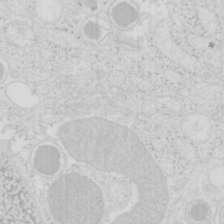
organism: Mouse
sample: Pancreas